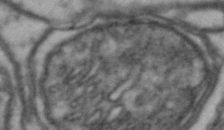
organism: Drosophila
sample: Brain